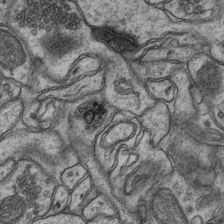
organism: Mouse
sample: CA1 Hippocampus